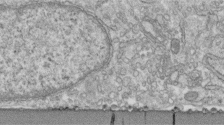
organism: Human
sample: Centriole in fibroblast cells